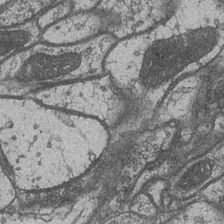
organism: Drosophila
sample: Optic medulla